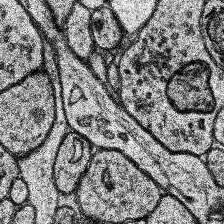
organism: Human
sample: Temporal Lobe